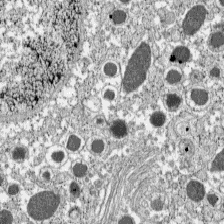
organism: C57BL Mouse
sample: Pancreatic islet